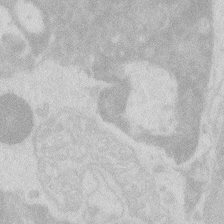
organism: Zebrafish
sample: Macrophage